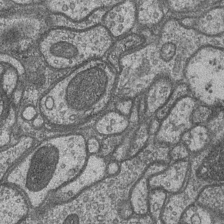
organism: Drosophila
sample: Optic medulla